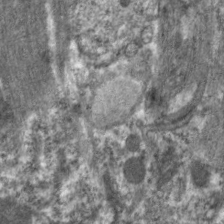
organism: C. elegans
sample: Pharynx